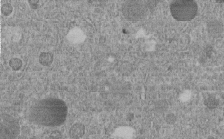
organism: C. elegans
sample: C. elegans embryo early stage